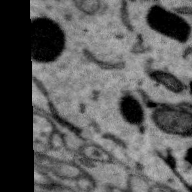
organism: Zebra finch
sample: Brain